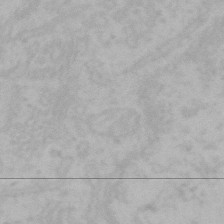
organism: Mouse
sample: Choroid plexus